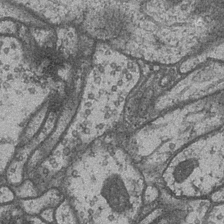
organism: Drosophila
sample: Optic medulla